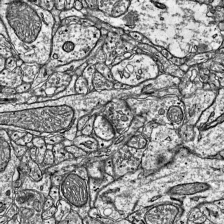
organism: Mouse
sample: Visual Cortex